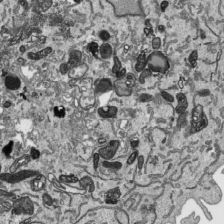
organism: Human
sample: Mitochondria in HCT116 cells